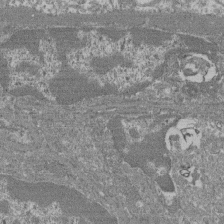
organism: Mouse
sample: Glomerulus